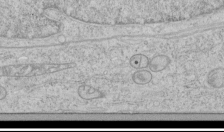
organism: Human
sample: Mitochondria in HCT116 cells